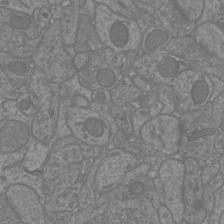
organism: Mouse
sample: Cortical neurons